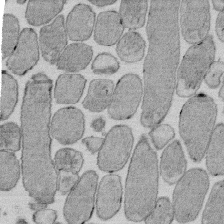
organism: E. coli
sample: Bacterial nucleoid